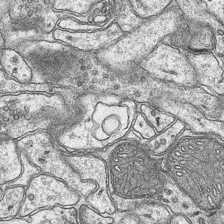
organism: Mouse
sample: CA1 Hippocampus